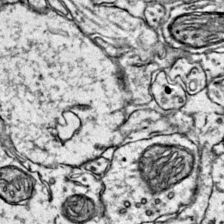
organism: Mouse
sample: Primary visual cortex